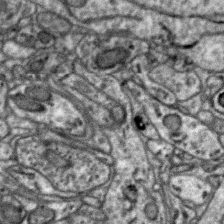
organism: Zebra finch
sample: Brain